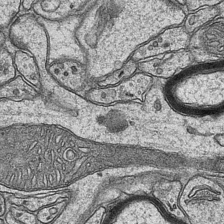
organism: Mouse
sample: CA1 Hippocampus